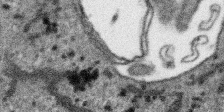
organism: Human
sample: Lung epithelial cells infected with SARS-CoV-2